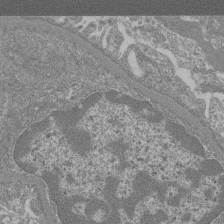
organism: Mouse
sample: Glomerulus